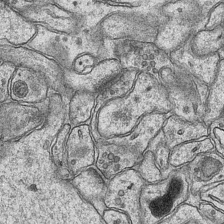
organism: Mouse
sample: CA1 Hippocampus